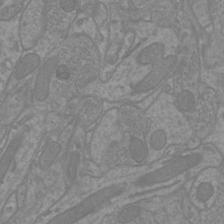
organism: Mouse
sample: Cortical neurons